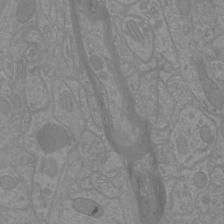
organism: Mouse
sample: Cortical neurons